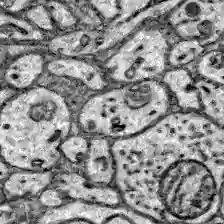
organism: Zebrafish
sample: Brain